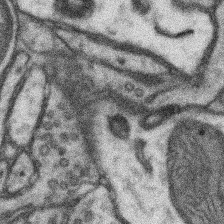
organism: Mouse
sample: Somatosensory cortex neuropil